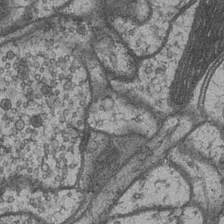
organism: Drosophila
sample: Optic medulla